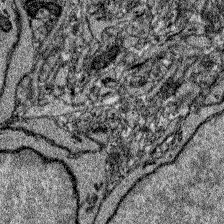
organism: Zebrafish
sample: Larval olfactory bulb